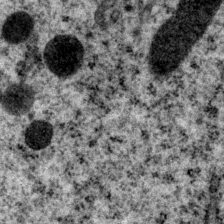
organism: P. pacificus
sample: Pharynx